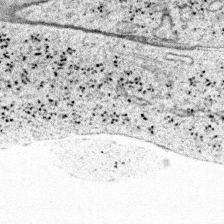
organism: Human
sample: HeLa cells